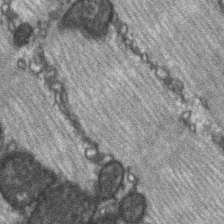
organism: C57BL Mouse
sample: Soleus